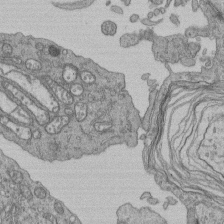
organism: Human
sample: Retinal organoid Rod and Cone cells